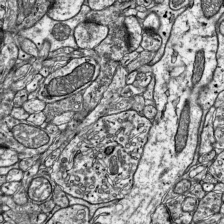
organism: Mouse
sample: Visual Cortex